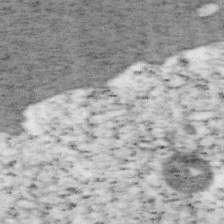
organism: Mouse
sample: OT-I killer T cells with ID8 ovarian cancer cells